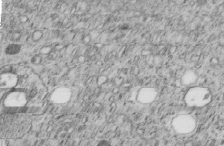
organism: C. elegans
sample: C. elegans embryo early stage